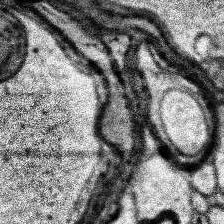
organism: Human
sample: Temporal Lobe